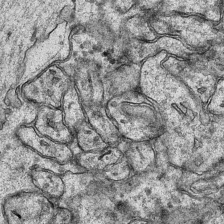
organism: Mouse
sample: CA1 Hippocampus